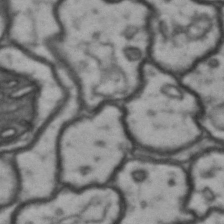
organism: Drosophila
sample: Brain